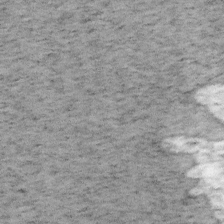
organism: Mouse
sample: OT-I killer T cells with ID8 ovarian cancer cells